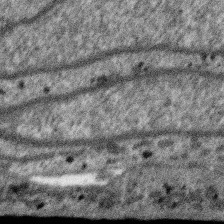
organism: Human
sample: Lung epithelial cells infected with SARS-CoV-2